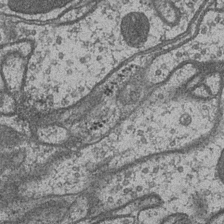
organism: Drosophila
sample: Optic medulla